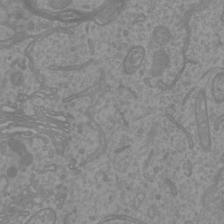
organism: Mouse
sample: Cortical neurons